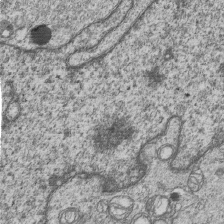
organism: Human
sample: MDA-MB-231 cells